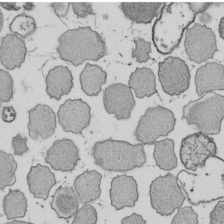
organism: E. coli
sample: Bacterial nucleoid